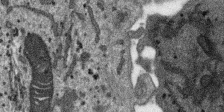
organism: Human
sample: Lung epithelial cells infected with SARS-CoV-2